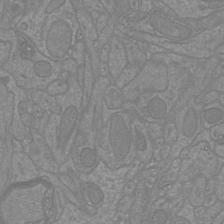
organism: Mouse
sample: Cortical neurons